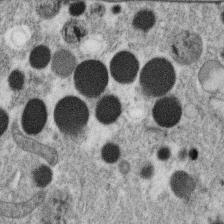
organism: C. elegans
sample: C. elegans oocyte; sperm cells